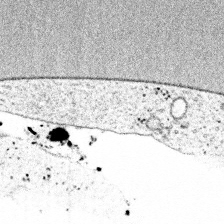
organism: Human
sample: HeLa cells